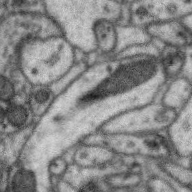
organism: Zebra finch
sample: Brain